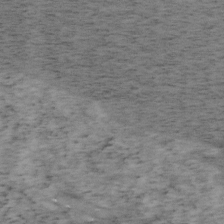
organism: Mouse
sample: OT-I killer T cells with ID8 ovarian cancer cells